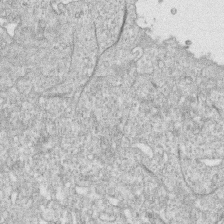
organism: Human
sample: HeLa cell HIV synapse